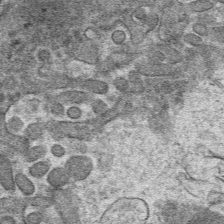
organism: Mouse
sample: Mouse hepatocytes